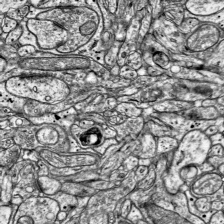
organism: Mouse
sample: Visual Cortex